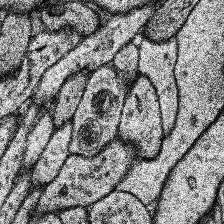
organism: Human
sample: Temporal Lobe